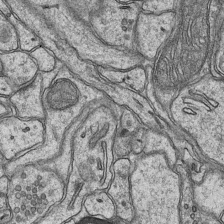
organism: Mouse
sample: CA1 Hippocampus